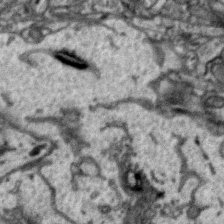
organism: Zebra finch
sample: Brain